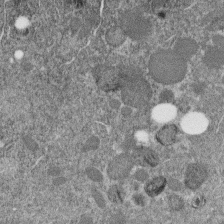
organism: C. elegans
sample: C. elegans embryo early stage